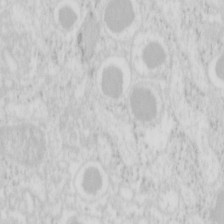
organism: Mouse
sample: Pancreas